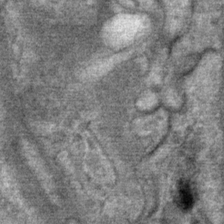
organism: Mouse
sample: Mouse Salivary gland